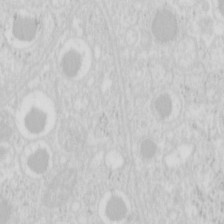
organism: Mouse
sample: Pancreas